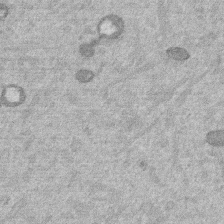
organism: Mouse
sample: Dividing mouse embryo 1 cell stage